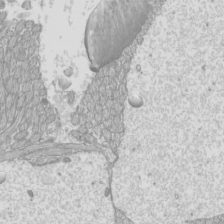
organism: Mouse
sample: Cilia; mouse epididymis